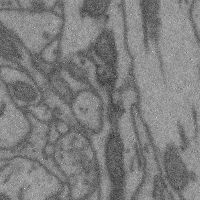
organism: Mouse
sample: Cerebral cortex